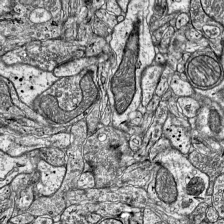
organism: Mouse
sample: Visual Cortex